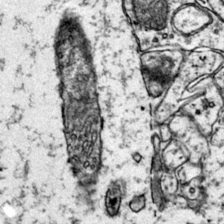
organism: Mouse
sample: Primary visual cortex